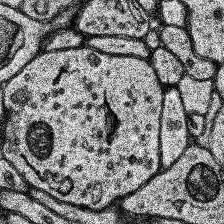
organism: Human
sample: Temporal Lobe